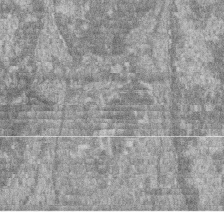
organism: Zebrafish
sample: Cilia; retinal pigment epithelium